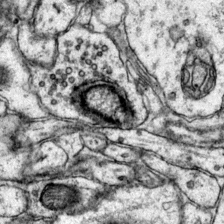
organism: Mouse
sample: Primary visual cortex